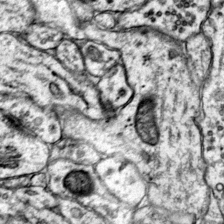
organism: Mouse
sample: Primary visual cortex